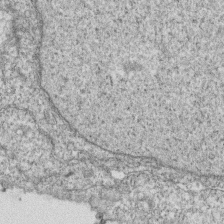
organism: Human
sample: HeLa cell HIV synapse